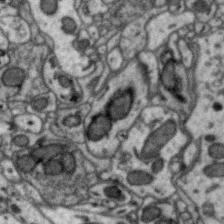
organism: Zebra finch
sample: Brain